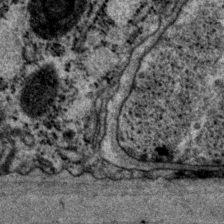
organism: P. pacificus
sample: Pharynx